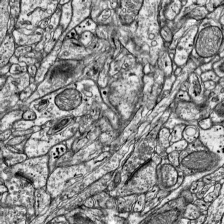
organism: Mouse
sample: Visual Cortex